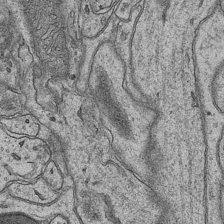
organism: Mouse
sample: CA1 Hippocampus